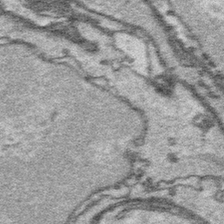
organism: Platynereis dumerilii